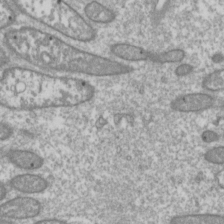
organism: Drosophila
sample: Cell division; meiosis; drosophila spermatocytes